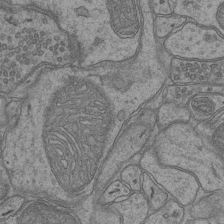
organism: Mouse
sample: CA1 Hippocampus